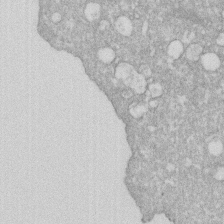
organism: Human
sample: HIV infected U937 cells